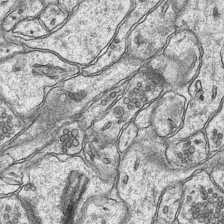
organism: Mouse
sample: CA1 Hippocampus